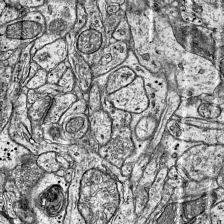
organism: Mouse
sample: Visual Cortex